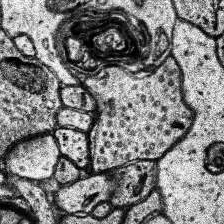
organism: Human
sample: Temporal Lobe